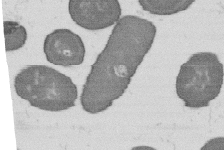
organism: B. subtilis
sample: Bacterial spore